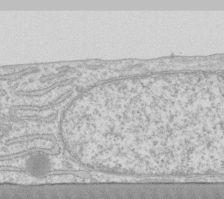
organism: Human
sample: Fibroblast cells